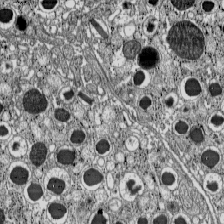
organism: C57BL Mouse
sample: Pancreatic islet